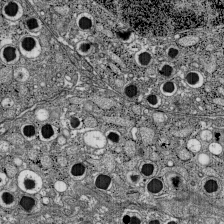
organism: C57BL Mouse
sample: Pancreatic islet